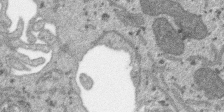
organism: Human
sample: Lung epithelial cells infected with SARS-CoV-2